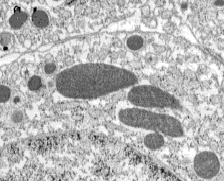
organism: C57BL Mouse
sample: Pancreatic islet